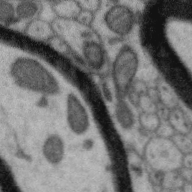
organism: Zebra finch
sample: Brain